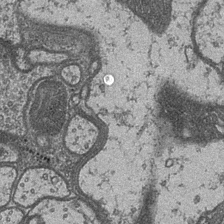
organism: Drosophila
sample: Optic medulla